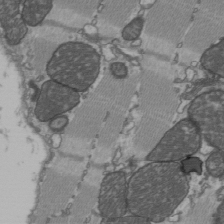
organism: C57BL Mouse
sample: Heart